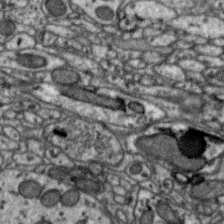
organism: Zebra finch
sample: Brain